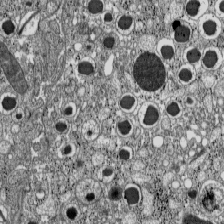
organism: C57BL Mouse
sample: Pancreatic islet